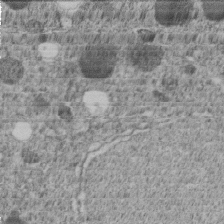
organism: C. elegans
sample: C. elegans embryo early stage